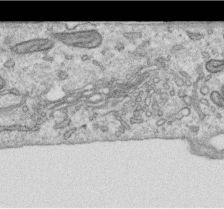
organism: Human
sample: Centriole in RPE cells